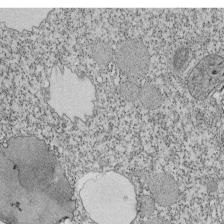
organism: Tetrahymena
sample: Cilia in tetrahymena